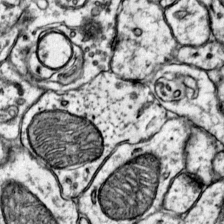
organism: Mouse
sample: Primary visual cortex